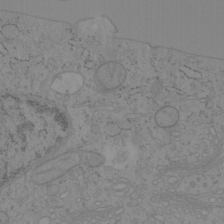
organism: Human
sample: HeLa cells